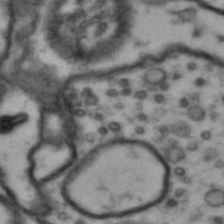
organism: Drosophila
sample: Brain